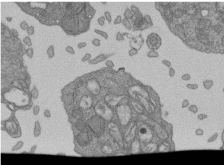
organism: Human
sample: Retinal organoid Rod and Cone cells